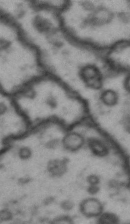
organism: Drosophila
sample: Brain